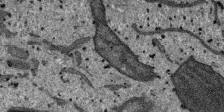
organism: Human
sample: Lung epithelial cells, uninfected (mock) control